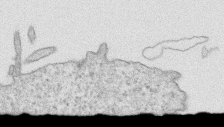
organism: Human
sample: HeLa cell HIV synapse